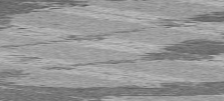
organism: C57BL Mouse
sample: Heart